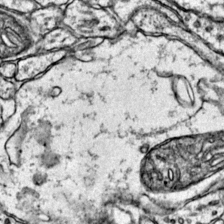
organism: Mouse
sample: Primary visual cortex